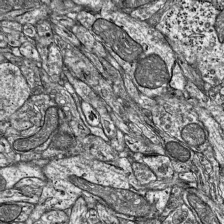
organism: Mouse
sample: Visual Cortex